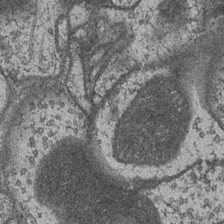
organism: Drosophila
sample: Optic medulla